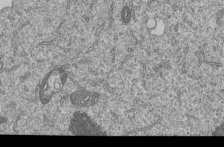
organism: Human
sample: MDA-MB-231 cells